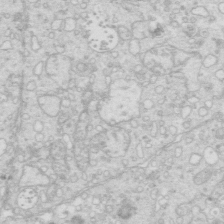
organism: Mouse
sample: Multiciliated cells